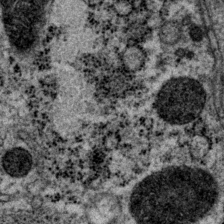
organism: P. pacificus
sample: Pharynx